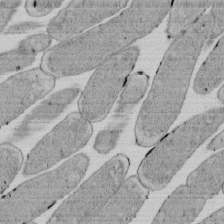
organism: E. coli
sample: Bacterial nucleoid